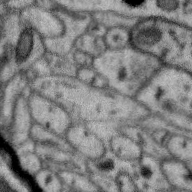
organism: Zebra finch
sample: Brain